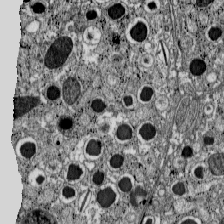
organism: C57BL Mouse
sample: Pancreatic islet